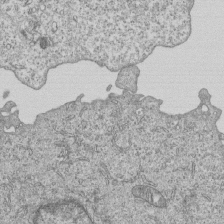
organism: Human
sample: MDA-MB-231 cells